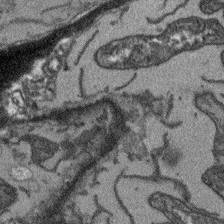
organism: Arabidopsis thaliana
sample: Root tip